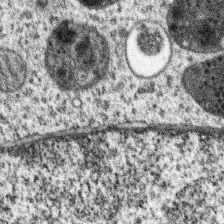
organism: Human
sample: HeLa cells